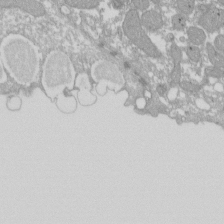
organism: Xenopus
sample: Cilia; centrioles in frog embryo cells